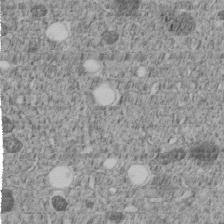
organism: C. elegans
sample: C. elegans embryo early stage